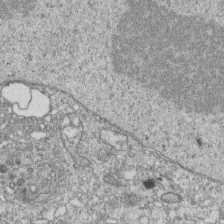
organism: Human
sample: HeLa cell HIV synapse